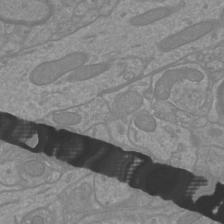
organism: Mouse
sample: Cortical neurons